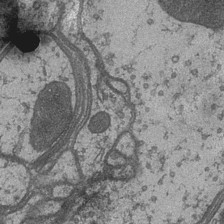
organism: Drosophila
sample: Optic medulla